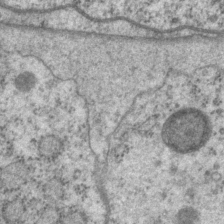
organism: P. pacificus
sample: Pharynx